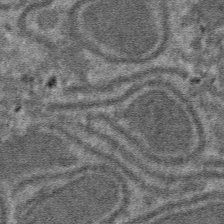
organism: Mouse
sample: Mouse hepatocytes